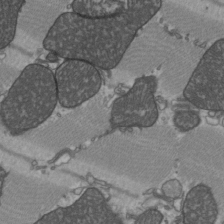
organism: C57BL Mouse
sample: Heart